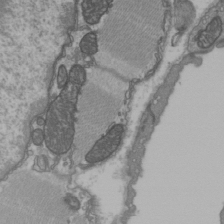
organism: C57BL Mouse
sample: Heart